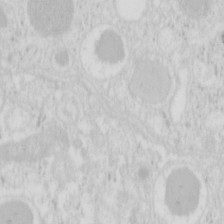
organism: Mouse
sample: Pancreas